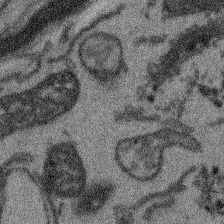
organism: Arabidopsis thaliana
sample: Root tip